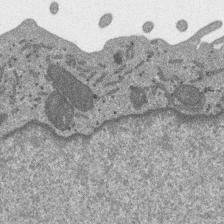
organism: Human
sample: Lung epithelial cells infected with SARS-CoV-2